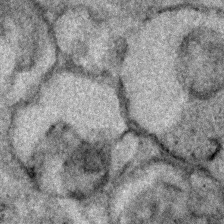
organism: Human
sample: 1205lu cells